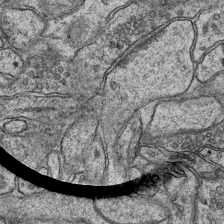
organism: Mouse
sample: CA1 Hippocampus